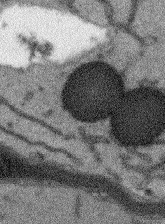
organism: Arabidopsis thaliana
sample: Root tip